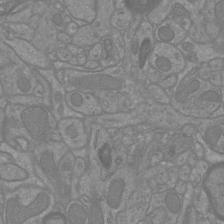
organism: Mouse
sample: Cortical neurons